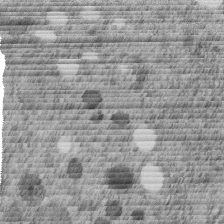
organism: C. elegans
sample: C. elegans embryo early stage